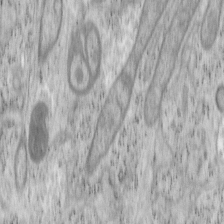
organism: Human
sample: HeLa cells